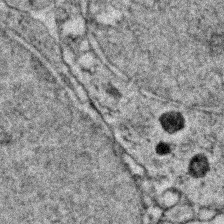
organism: Zebrafish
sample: Zebrafish embryo